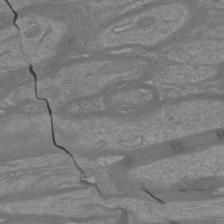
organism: Mouse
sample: Cortical neurons